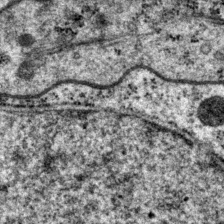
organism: P. pacificus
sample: Pharynx